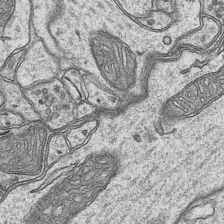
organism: Mouse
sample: CA1 Hippocampus